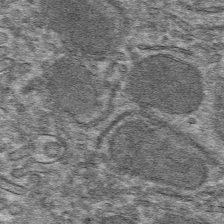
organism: Mouse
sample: Mouse hepatocytes